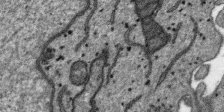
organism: Human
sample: Lung epithelial cells, uninfected (mock) control